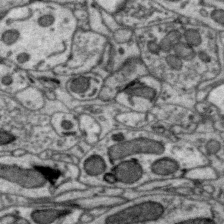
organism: Zebra finch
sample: Brain